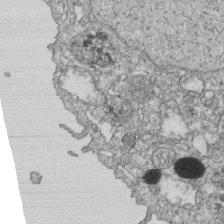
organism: Human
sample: HeLa cell HIV synapse